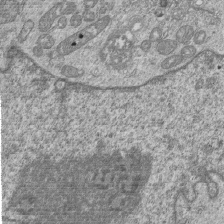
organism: Human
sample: MDA-MB-231 cells